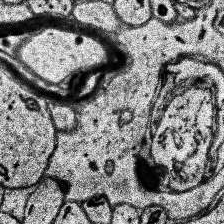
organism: Human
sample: Temporal Lobe